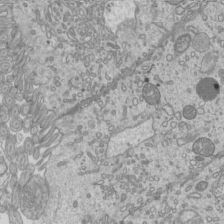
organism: Mouse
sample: Cilia; mouse epididymis